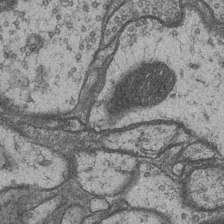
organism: Drosophila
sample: Optic medulla